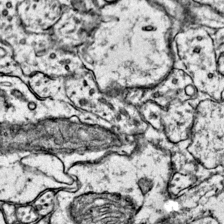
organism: Mouse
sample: Primary visual cortex